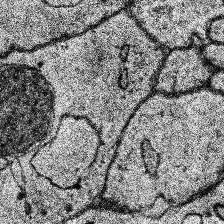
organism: Human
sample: Temporal Lobe